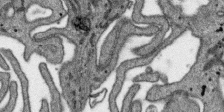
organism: Human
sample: Lung epithelial cells, uninfected (mock) control